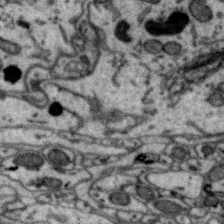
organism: Zebra finch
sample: Brain